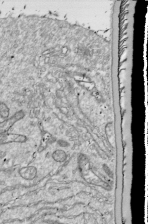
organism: Drosophila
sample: Cell division; meiosis; drosophila spermatocytes